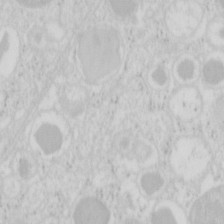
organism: Mouse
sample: Pancreas